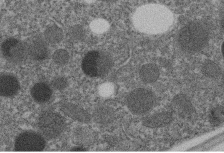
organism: C. elegans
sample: C. elegans embryo early stage